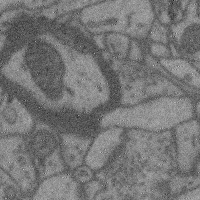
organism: Mouse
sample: Cerebral cortex